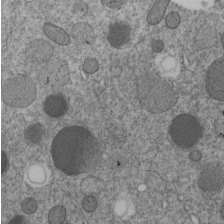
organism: C. elegans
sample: C. elegans embryo early stage